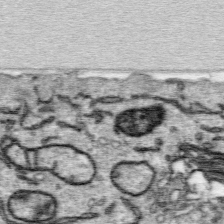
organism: Human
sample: HeLa cells